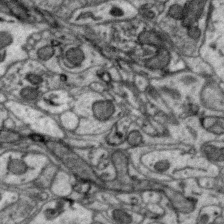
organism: Zebra finch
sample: Brain